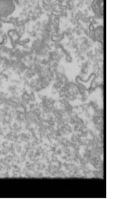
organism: Drosophila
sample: Cell division; meiosis; drosophila spermatocytes